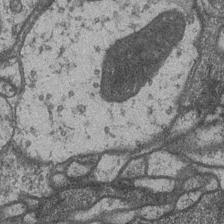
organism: Drosophila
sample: Optic medulla